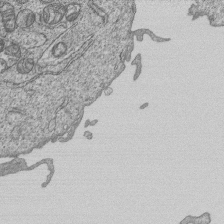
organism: Human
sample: MDA-MB-231 cells